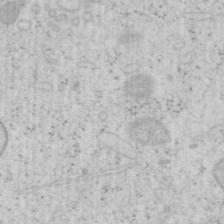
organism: Human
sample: HeLa cells